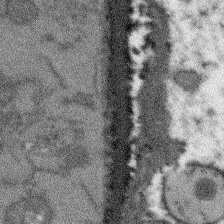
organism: Arabidopsis thaliana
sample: Root tip